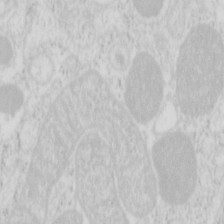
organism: Mouse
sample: Pancreas